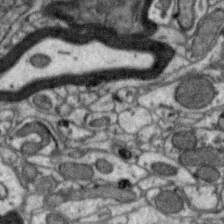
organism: Zebra finch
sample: Brain